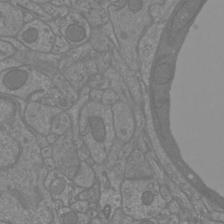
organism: Mouse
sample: Cortical neurons